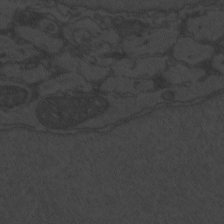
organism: Zebrafish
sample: Macrophage infected with Toxoplasma gondii